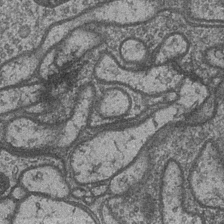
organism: Drosophila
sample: Optic medulla